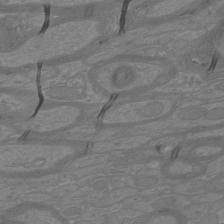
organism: Mouse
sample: Cortical neurons